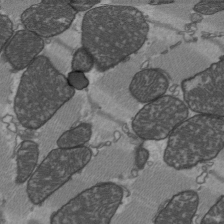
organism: C57BL Mouse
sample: Heart